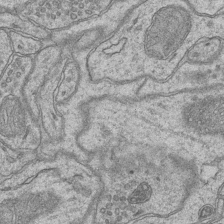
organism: Mouse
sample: CA1 Hippocampus